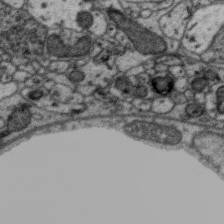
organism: Zebra finch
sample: Brain